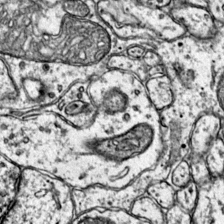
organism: Mouse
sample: Primary visual cortex